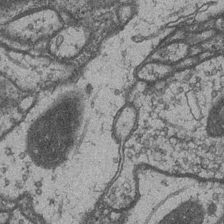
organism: Drosophila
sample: Optic medulla